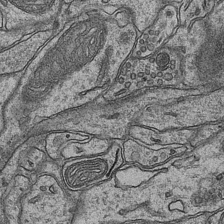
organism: Mouse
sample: CA1 Hippocampus